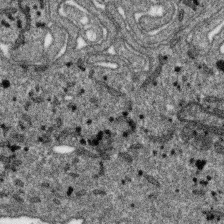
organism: Human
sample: Lung epithelial cells infected with SARS-CoV-2